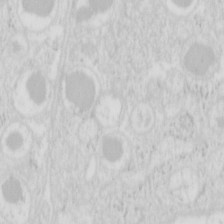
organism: Mouse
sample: Pancreas